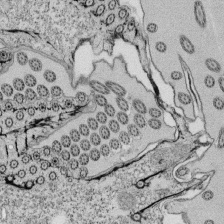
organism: Tetrahymena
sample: Cilia in tetrahymena